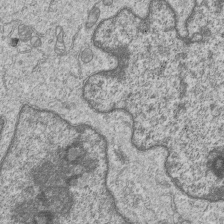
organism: Human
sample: MDA-MB-231 cells